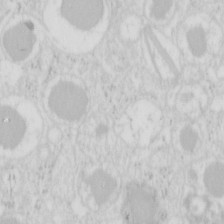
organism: Mouse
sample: Pancreas